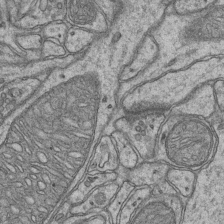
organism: Mouse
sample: CA1 Hippocampus